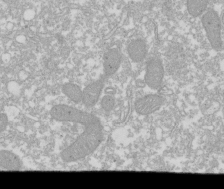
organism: Xenopus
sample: Cilia; centrioles in frog embryo cells